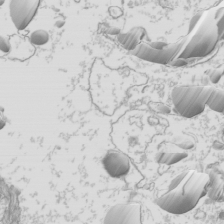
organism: Mouse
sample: Cilia; mouse epididymis